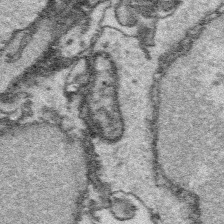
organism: Platynereis dumerilii